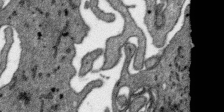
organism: Human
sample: Lung epithelial cells, uninfected (mock) control